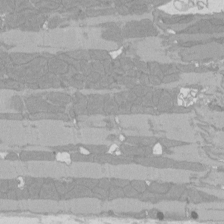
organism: Rat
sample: Left ventricle